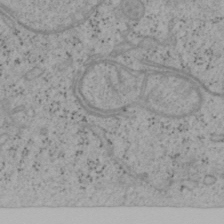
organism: Human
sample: HeLa cells